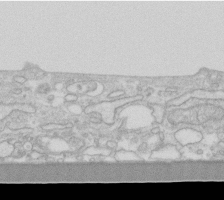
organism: Human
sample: Fibroblast cells